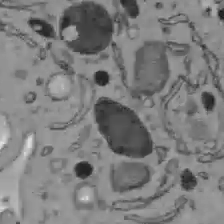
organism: C57BL Mouse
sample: Liver